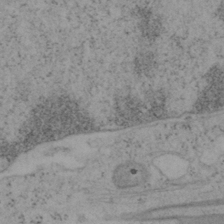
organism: Mouse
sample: OT-I killer T cells with ID8 ovarian cancer cells